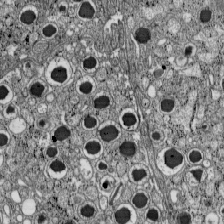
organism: C57BL Mouse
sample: Pancreatic islet